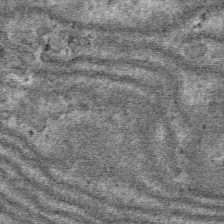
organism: Mouse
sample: Mouse hepatocytes